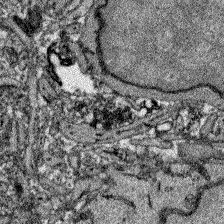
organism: Zebrafish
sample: Larval olfactory bulb